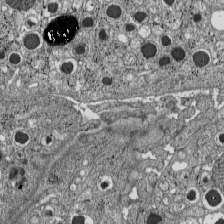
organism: C57BL Mouse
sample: Pancreatic islet